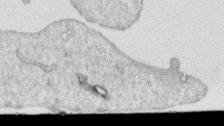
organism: Human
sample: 1205lu cells